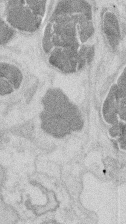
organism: Mouse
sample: T cell stromal cell synapse